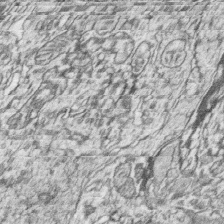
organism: Zebrafish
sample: synaptic ribbons in rod cells and cone cells